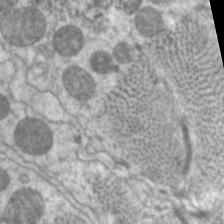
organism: C. elegans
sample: Pharynx